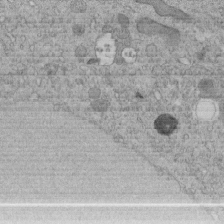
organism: C. elegans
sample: C. elegans embryo early stage